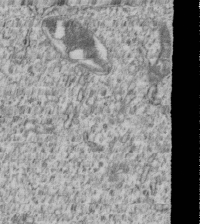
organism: Human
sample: MDA-MB-231 cells